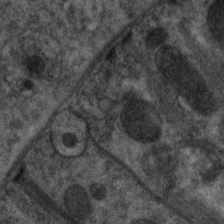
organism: C. elegans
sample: Pharynx